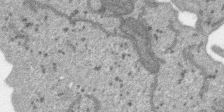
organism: Human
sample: Lung epithelial cells infected with SARS-CoV-2